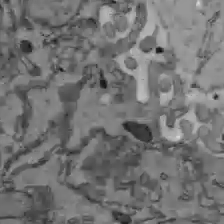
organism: C57BL Mouse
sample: Liver